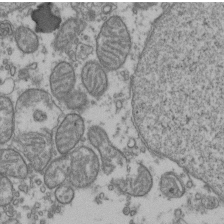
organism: Human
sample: Activated Jurkat CD4+ T cells